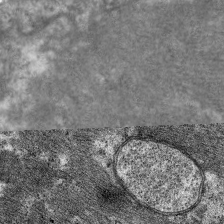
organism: C. elegans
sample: Pharynx